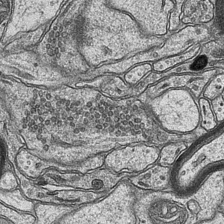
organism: Mouse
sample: CA1 Hippocampus